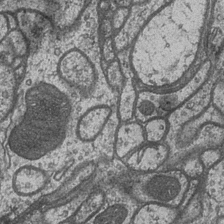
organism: Drosophila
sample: Optic medulla